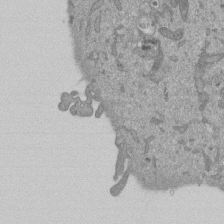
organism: Mouse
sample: ED-1 cell nuclei; centrioles